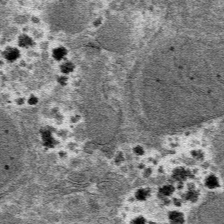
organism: Mouse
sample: Mouse hepatocytes